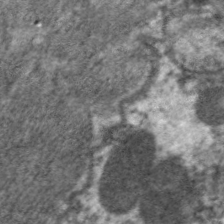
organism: C. elegans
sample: Pharynx